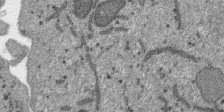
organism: Human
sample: Lung epithelial cells infected with SARS-CoV-2